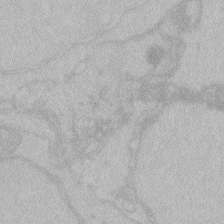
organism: Zebrafish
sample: Macrophage infected with Toxoplasma gondii